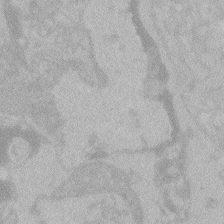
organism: Zebrafish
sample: Macrophage infected with Toxoplasma gondii